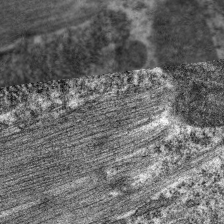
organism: C. elegans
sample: Pharynx